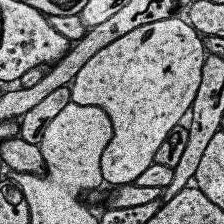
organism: Human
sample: Temporal Lobe